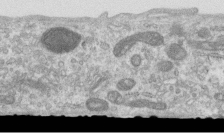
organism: Human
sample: Centriole in RPE cells